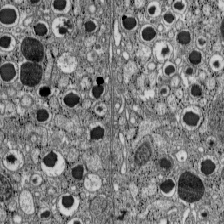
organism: C57BL Mouse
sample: Pancreatic islet